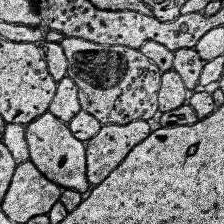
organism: Human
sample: Temporal Lobe